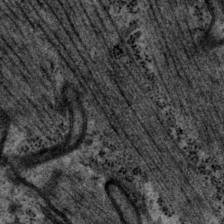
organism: P. pacificus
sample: Pharynx